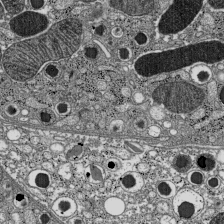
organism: C57BL Mouse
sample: Pancreatic islet